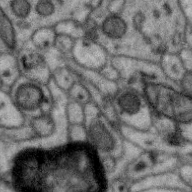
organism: Zebra finch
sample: Brain